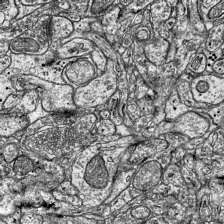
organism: Mouse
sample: Visual Cortex